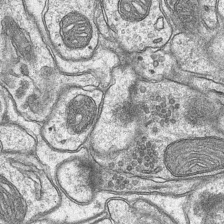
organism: Mouse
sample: CA1 Hippocampus